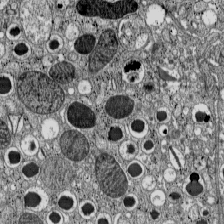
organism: C57BL Mouse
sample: Pancreatic islet